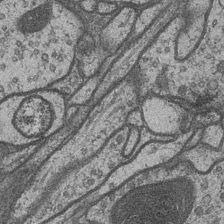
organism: Drosophila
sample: Optic medulla